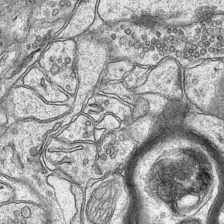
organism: Mouse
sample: CA1 Hippocampus